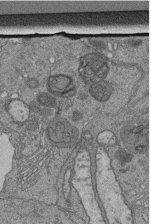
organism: Human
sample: Retinal organoid Rod and Cone cells